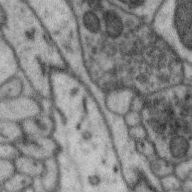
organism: Zebra finch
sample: Brain